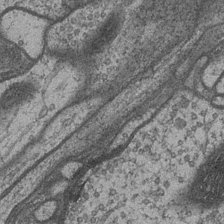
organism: Drosophila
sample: Optic medulla